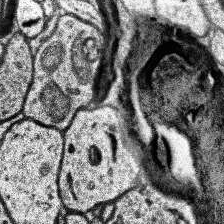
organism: Human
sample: Temporal Lobe